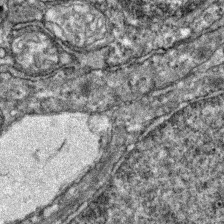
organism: Zebrafish